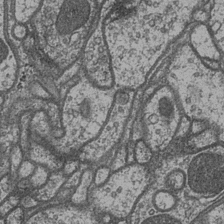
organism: Drosophila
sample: Optic medulla